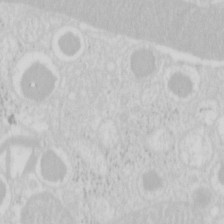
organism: Mouse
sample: Pancreas